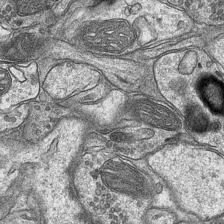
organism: Mouse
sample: CA1 Hippocampus